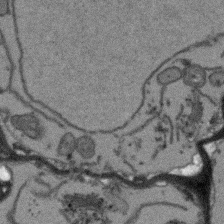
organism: Arabidopsis thaliana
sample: Root tip